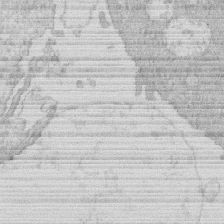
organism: Human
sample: Macrophage cells